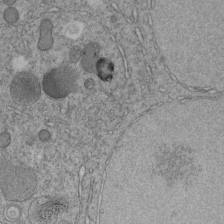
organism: C. elegans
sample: C. elegans embryo early stage